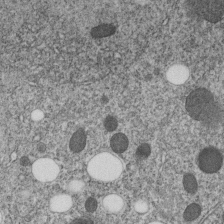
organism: C. elegans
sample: C. elegans embryo early stage